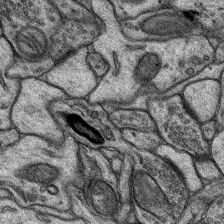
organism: Rat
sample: Hippocampus